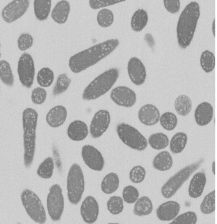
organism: E. coli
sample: Bacterial nucleoid